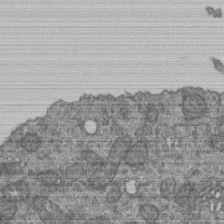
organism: Human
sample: Retinal organoid Rod and Cone cells